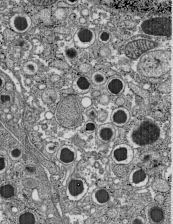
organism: C57BL Mouse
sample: Pancreatic islet